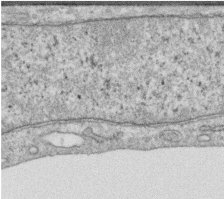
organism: Human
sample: Centriole in RPE cells